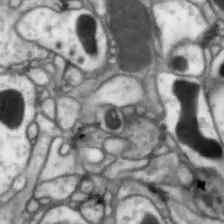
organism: Drosophila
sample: Optic lobe